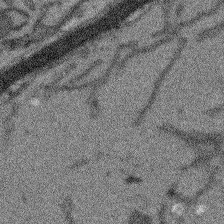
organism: Arabidopsis thaliana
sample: Root tip